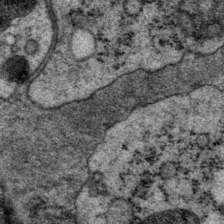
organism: P. pacificus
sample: Pharynx